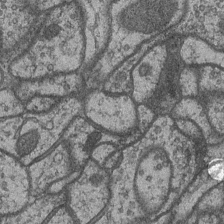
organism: Drosophila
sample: Optic medulla